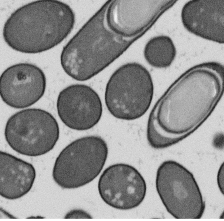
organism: B. subtilis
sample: Bacterial spore